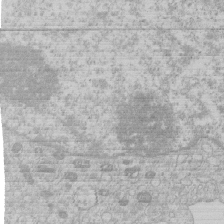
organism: Human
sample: Macrophage cells